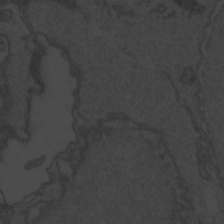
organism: Zebrafish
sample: Macrophage infected with Toxoplasma gondii